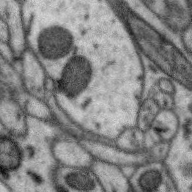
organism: Zebra finch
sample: Brain